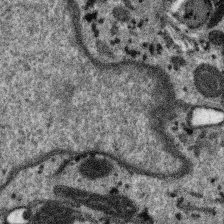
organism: Human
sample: Lung epithelial cells infected with SARS-CoV-2